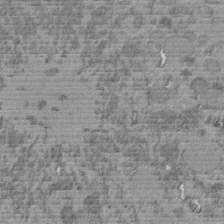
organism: C. elegans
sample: C. elegans embryo early stage